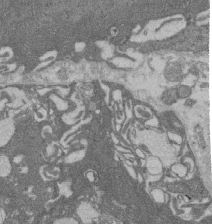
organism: Rat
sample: Salivary granule